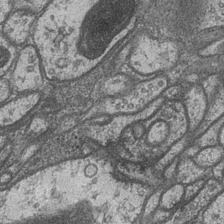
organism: Drosophila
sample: Optic medulla